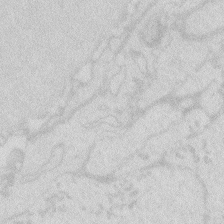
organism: Zebrafish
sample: Macrophage